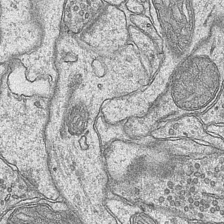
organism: Mouse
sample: CA1 Hippocampus